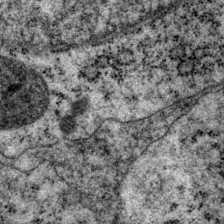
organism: P. pacificus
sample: Pharynx